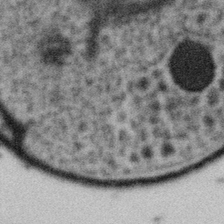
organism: Gemmata obscuriglobus